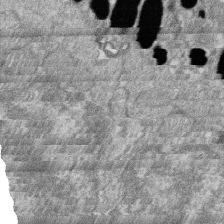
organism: Zebrafish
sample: Cilia; retinal pigment epithelium